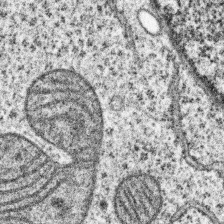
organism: Human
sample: HeLa cells